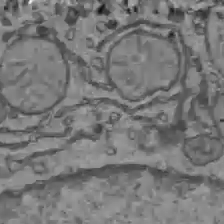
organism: C57BL Mouse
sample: Liver